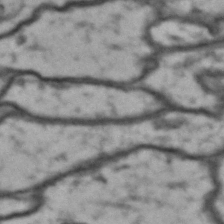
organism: Drosophila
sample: Brain